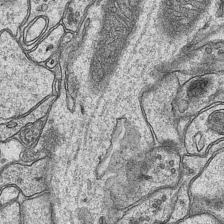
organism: Mouse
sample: CA1 Hippocampus